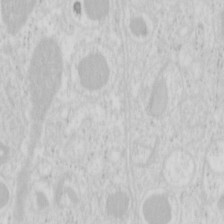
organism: Mouse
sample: Pancreas